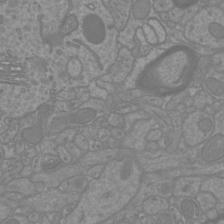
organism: Mouse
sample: Cortical neurons